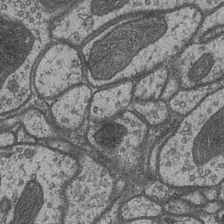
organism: Drosophila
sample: Optic medulla